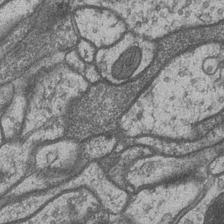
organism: Drosophila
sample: Optic medulla